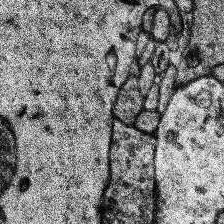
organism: Human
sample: Temporal Lobe